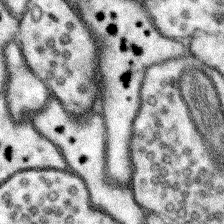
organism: Mouse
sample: Somatosensory cortex neuropil